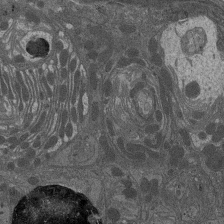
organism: Drosophila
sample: Antenna